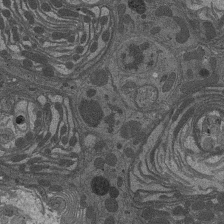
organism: Drosophila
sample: Antenna